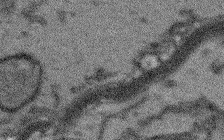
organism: Arabidopsis thaliana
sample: Root tip